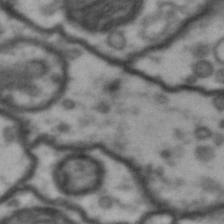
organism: Drosophila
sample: Brain